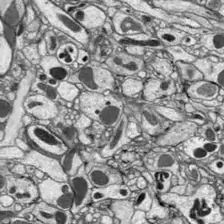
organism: Drosophila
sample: Optic lobe